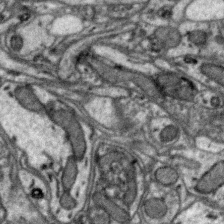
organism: Zebra finch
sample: Brain